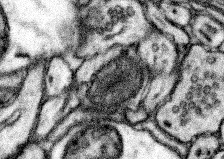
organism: Mouse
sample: Somatosensory cortex neuropil